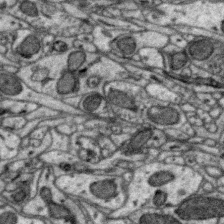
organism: Zebra finch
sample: Brain